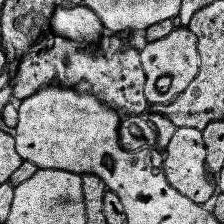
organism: Human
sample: Temporal Lobe